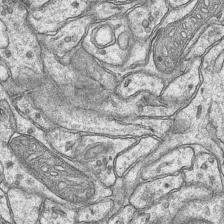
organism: Mouse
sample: CA1 Hippocampus